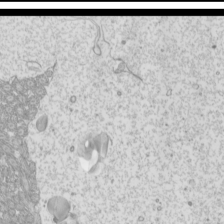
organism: Mouse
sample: Cilia; mouse epididymis